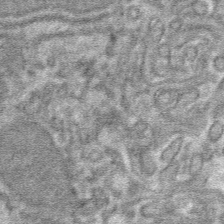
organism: Mouse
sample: Mouse hepatocytes